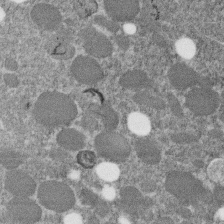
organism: C. elegans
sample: C. elegans embryo early stage